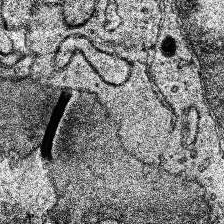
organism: Human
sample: Temporal Lobe